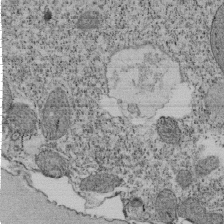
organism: Tetrahymena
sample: Cilia in tetrahymena